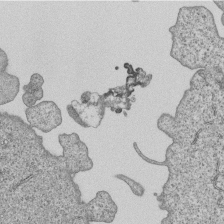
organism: Human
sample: MDA-MB-231 cells